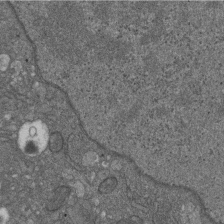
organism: Drosophila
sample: Nephrocyte